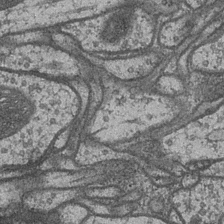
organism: Drosophila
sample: Optic medulla